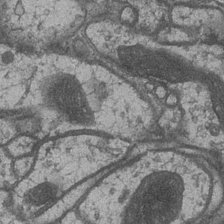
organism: Drosophila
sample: Optic medulla